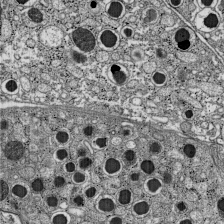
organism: C57BL Mouse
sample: Pancreatic islet